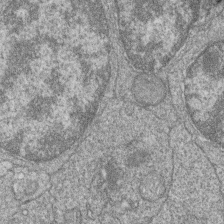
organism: Zebrafish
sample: Cilia; retinal pigment epithelium